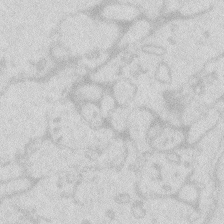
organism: Zebrafish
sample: Macrophage